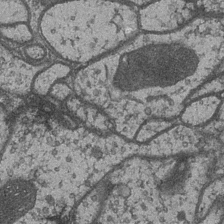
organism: Drosophila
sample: Optic medulla